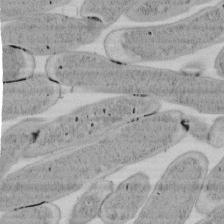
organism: E. coli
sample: Bacterial nucleoid